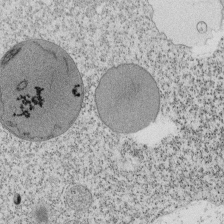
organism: Tetrahymena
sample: Cilia in tetrahymena